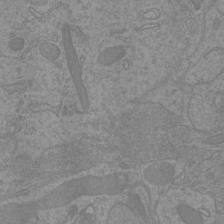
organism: Mouse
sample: Cortical neurons